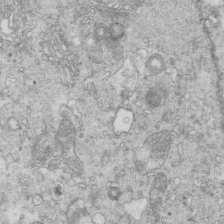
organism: Mouse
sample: Multiciliated cells